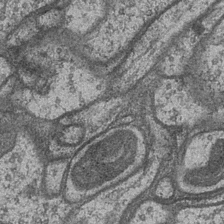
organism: Drosophila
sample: Optic medulla